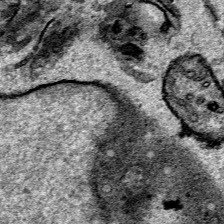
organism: Human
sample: Mitochondria in HCT116 cells